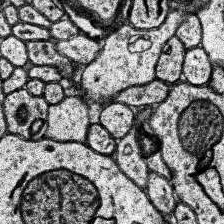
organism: Human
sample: Temporal Lobe